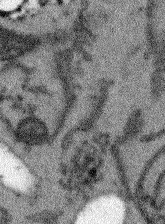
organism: Arabidopsis thaliana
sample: Root tip